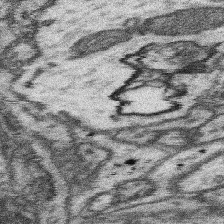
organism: Mouse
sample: Somatosensory cortex neuropil